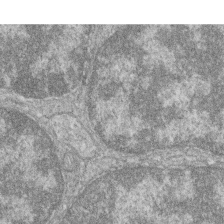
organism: Zebrafish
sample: Cilia; retinal pigment epithelium